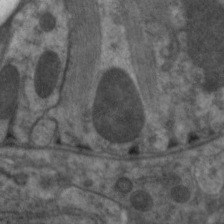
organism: C. elegans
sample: Pharynx